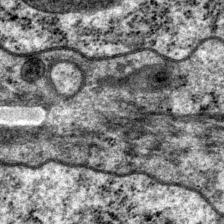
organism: P. pacificus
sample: Pharynx